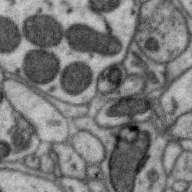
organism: Zebra finch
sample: Brain